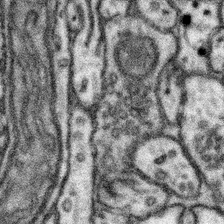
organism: Mouse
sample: Somatosensory cortex neuropil